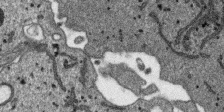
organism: Human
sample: Lung epithelial cells infected with SARS-CoV-2